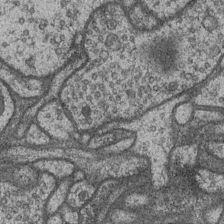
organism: Drosophila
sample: Optic medulla